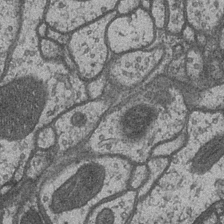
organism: Drosophila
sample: Optic medulla